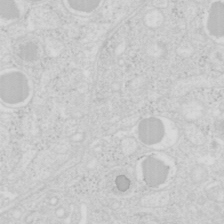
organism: Mouse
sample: Pancreas